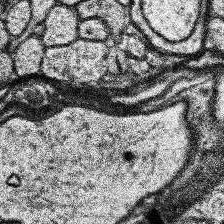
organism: Human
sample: Temporal Lobe